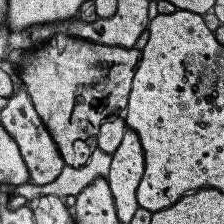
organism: Human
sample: Temporal Lobe